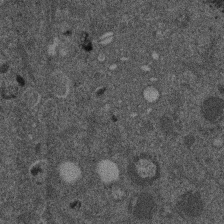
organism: Mouse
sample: Dividing mouse embryo 1 cell stage